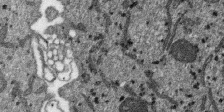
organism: Human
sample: Lung epithelial cells infected with SARS-CoV-2